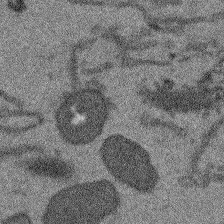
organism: Arabidopsis thaliana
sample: Root tip